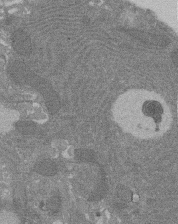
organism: Rat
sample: Salivary granule